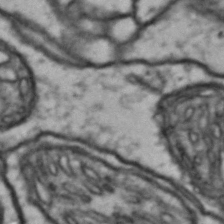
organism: Drosophila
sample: Brain